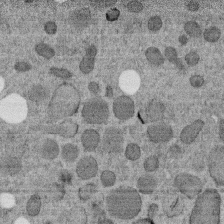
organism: C. elegans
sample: C. elegans embryo early stage